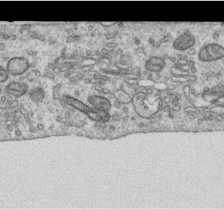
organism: Human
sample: Centriole in RPE cells